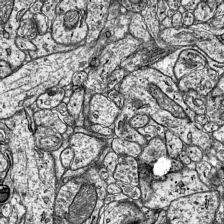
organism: Mouse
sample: Visual Cortex